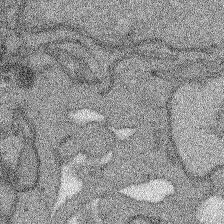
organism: Human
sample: HeLa cells